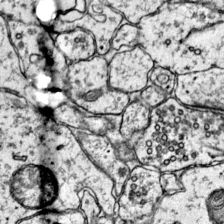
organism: Mouse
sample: Primary visual cortex